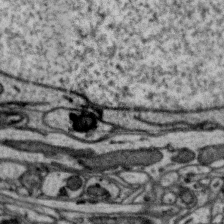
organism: Zebra finch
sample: Brain